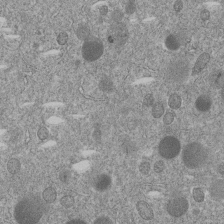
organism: C. elegans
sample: C. elegans embryo early stage